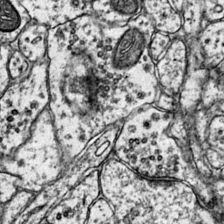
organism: Mouse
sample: Primary visual cortex